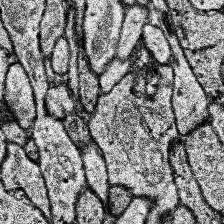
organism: Human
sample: Temporal Lobe